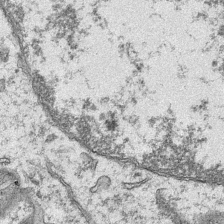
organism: Mouse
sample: CA1 Hippocampus